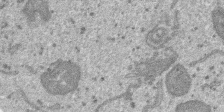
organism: Human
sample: Lung epithelial cells infected with SARS-CoV-2